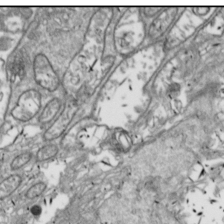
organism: Drosophila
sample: Cell division; meiosis; drosophila spermatocytes